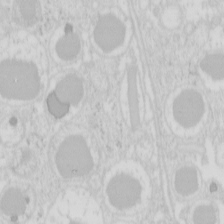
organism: Mouse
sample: Pancreas